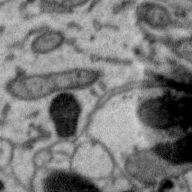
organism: Zebra finch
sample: Brain